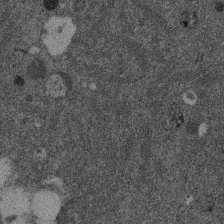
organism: Mouse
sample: Dividing mouse embryo 1 cell stage